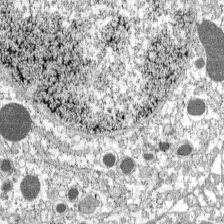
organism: C57BL Mouse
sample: Pancreatic islet